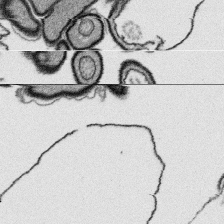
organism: Platynereis dumerilii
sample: Parapodia